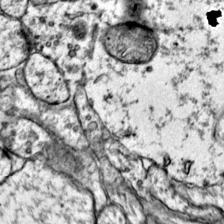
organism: Mouse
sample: Primary visual cortex